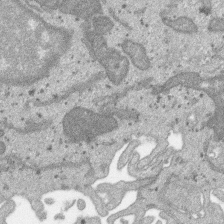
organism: Human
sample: Lung epithelial cells infected with SARS-CoV-2